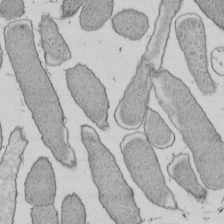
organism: E. coli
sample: Bacterial nucleoid